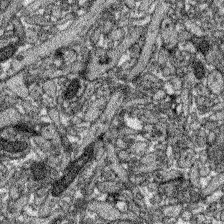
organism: Zebrafish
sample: Larval olfactory bulb